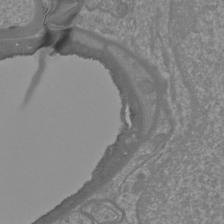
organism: Mouse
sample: Cortical neurons